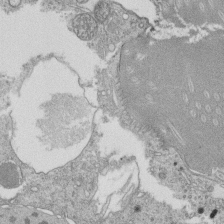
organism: Tetrahymena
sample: Cilia in tetrahymena